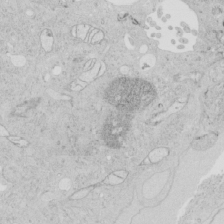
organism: Human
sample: Mitochondria in HCT116 cells